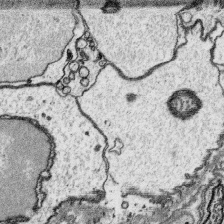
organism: Platynereis dumerilii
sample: Parapodia